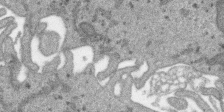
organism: Human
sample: Lung epithelial cells infected with SARS-CoV-2